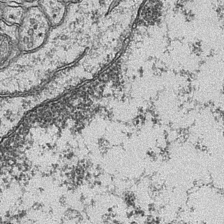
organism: Mouse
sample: CA1 Hippocampus